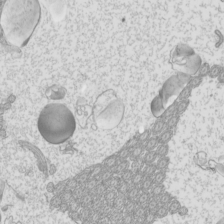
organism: Mouse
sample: Cilia; mouse epididymis